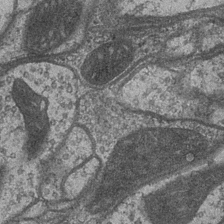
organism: Drosophila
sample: Optic medulla